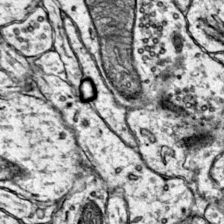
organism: Mouse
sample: Primary visual cortex